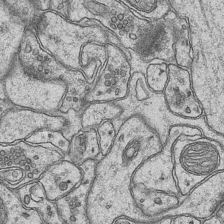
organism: Mouse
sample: CA1 Hippocampus